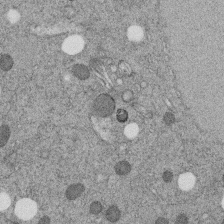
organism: C. elegans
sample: C. elegans embryo early stage